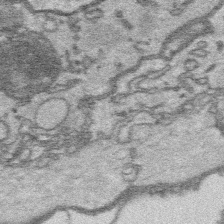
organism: Platynereis dumerilii